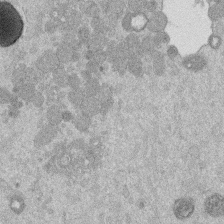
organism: Mouse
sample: Dividing mouse embryo 1 cell stage